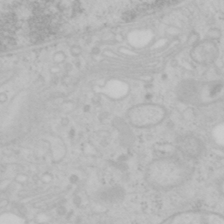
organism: Mouse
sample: OT-I killer T cells with ID8 ovarian cancer cells